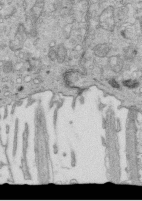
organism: Mouse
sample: Multiciliated cells